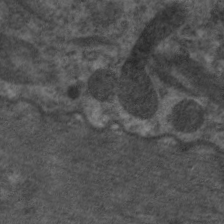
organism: C. elegans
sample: Pharynx